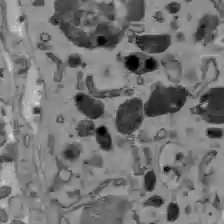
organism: C57BL Mouse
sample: Liver